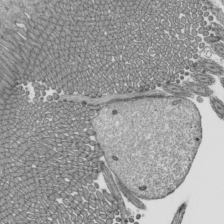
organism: Mouse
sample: Mouse epididymis efferent ductule cilia